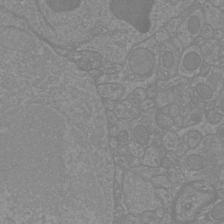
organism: Mouse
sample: Cortical neurons